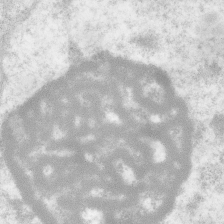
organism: Human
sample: Neocortex